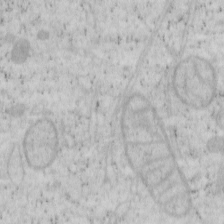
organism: Human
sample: HeLa cells